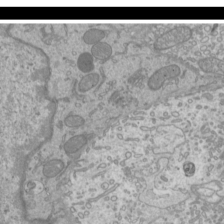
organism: Mouse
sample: Cilia; mouse epididymis